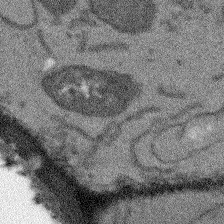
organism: Arabidopsis thaliana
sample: Root tip